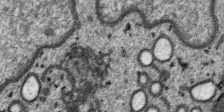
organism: Human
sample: Lung epithelial cells infected with SARS-CoV-2